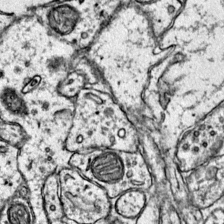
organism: Mouse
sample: Primary visual cortex